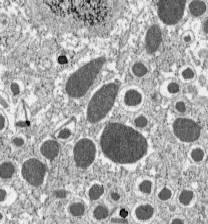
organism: C57BL Mouse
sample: Pancreatic islet